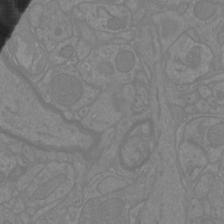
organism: Mouse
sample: Cortical neurons